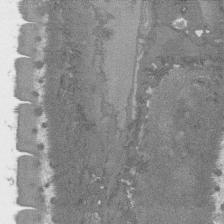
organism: C. elegans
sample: AFD neurons C. elegans